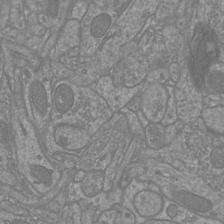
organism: Mouse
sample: Cortical neurons